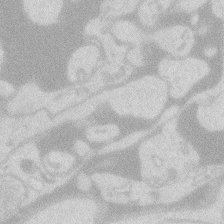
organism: Zebrafish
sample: Macrophage